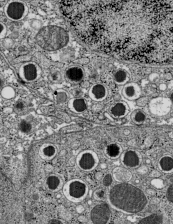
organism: C57BL Mouse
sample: Pancreatic islet